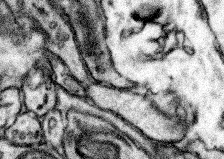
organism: Mouse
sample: Somatosensory cortex neuropil